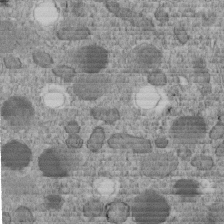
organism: C. elegans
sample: C. elegans embryo early stage